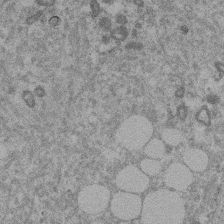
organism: Mouse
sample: Dividing mouse embryo 1 cell stage